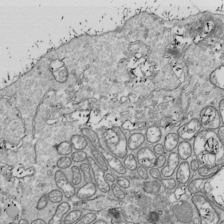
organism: Drosophila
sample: Cell division; meiosis; drosophila spermatocytes